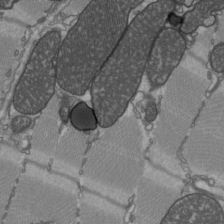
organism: C57BL Mouse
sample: Heart